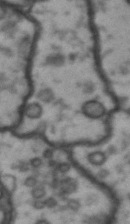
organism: Drosophila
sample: Brain